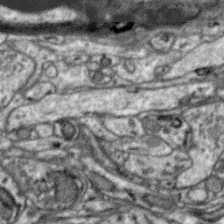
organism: Zebra finch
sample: Brain